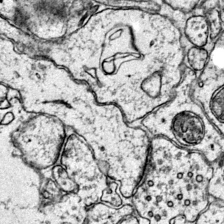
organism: Mouse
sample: Primary visual cortex